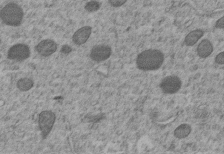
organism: C. elegans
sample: C. elegans embryo early stage